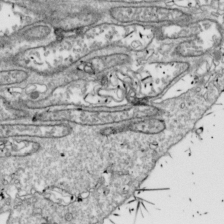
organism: Drosophila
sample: Cell division; meiosis; drosophila spermatocytes